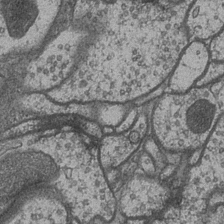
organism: Drosophila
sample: Optic medulla